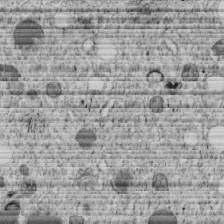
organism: C. elegans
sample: C. elegans embryo early stage